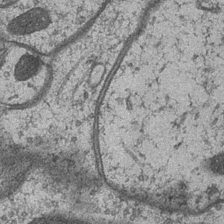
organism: Drosophila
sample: Optic medulla